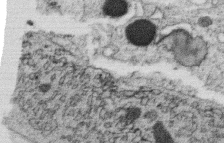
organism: C. elegans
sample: C. elegans oocyte; sperm cells